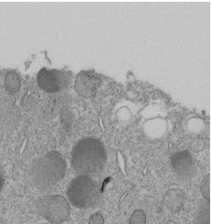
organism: C. elegans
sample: C. elegans embryo early stage